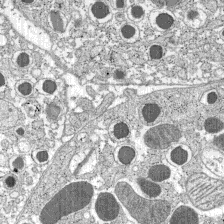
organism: C57BL Mouse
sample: Pancreatic islet